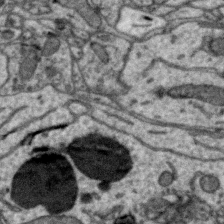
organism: Zebra finch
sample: Brain